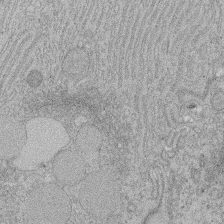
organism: Rat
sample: Salivary granule